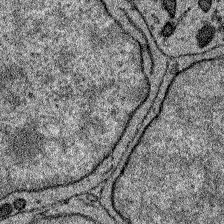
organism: Zebrafish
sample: Larval olfactory bulb